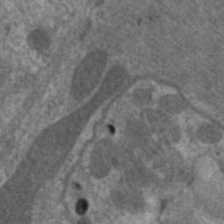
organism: C. elegans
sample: Pharynx